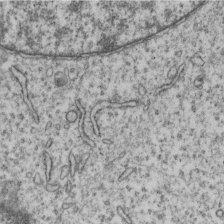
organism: Human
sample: MDA-MB-231 cells